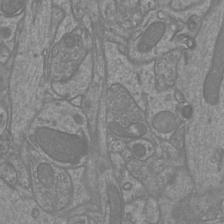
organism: Mouse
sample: Cortical neurons